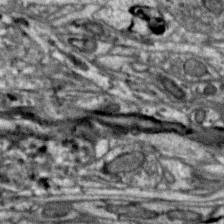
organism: Zebra finch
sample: Brain